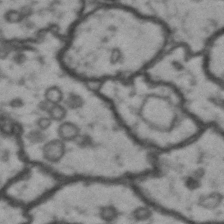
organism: Drosophila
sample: Brain